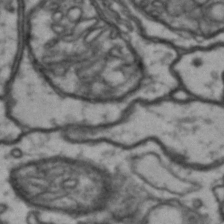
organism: Drosophila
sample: Brain